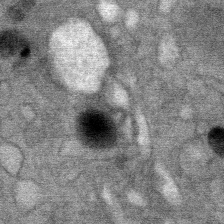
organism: Mouse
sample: Mouse Salivary gland